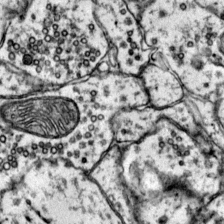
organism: Mouse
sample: Primary visual cortex